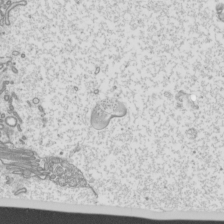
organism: Mouse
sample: Cilia; mouse epididymis